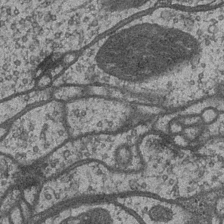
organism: Drosophila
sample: Optic medulla